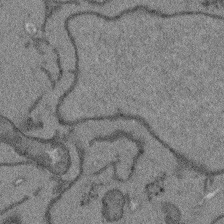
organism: Arabidopsis thaliana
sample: Root tip